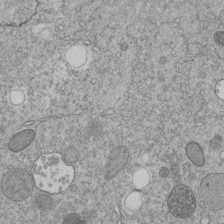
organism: C. elegans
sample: C. elegans embryo early stage